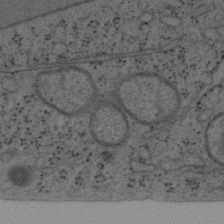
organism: Human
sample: HeLa cells